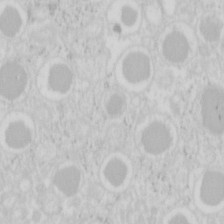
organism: Mouse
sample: Pancreas